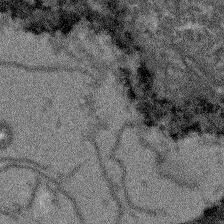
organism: Arabidopsis thaliana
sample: Root tip